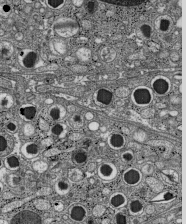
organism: C57BL Mouse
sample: Pancreatic islet